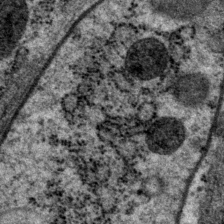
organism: P. pacificus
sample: Pharynx